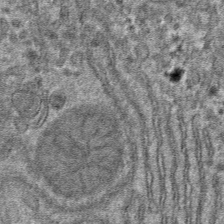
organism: Mouse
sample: Mouse hepatocytes